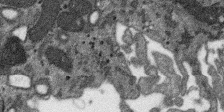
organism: Human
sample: Lung epithelial cells infected with SARS-CoV-2